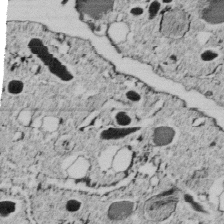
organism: C. elegans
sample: C. elegans embryo early stage